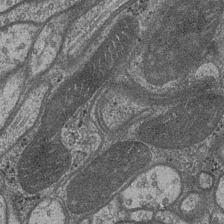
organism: Drosophila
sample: Optic medulla